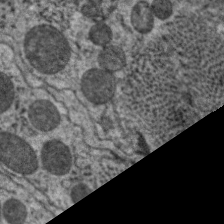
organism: C. elegans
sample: Pharynx